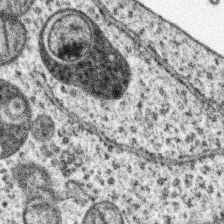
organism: Human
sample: HeLa cells